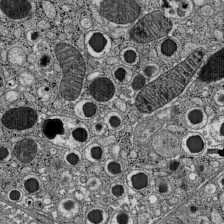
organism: C57BL Mouse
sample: Pancreatic islet